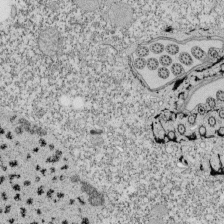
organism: Tetrahymena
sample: Cilia in tetrahymena